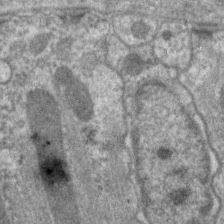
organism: C. elegans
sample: Pharynx